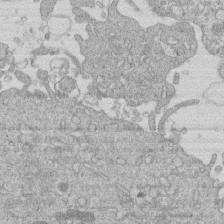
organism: Human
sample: Macrophage cells